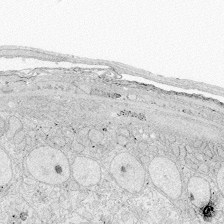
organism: Zebrafish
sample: Whole-Brain